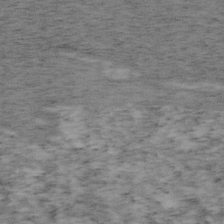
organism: Mouse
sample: OT-I killer T cells with ID8 ovarian cancer cells